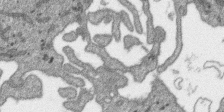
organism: Human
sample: Lung epithelial cells infected with SARS-CoV-2